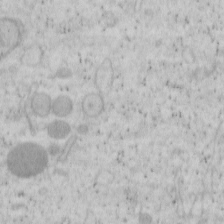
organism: Human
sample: HeLa cells